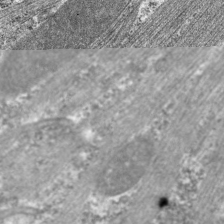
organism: C. elegans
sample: Pharynx